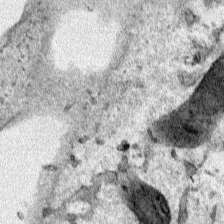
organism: Human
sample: Mitochondria in HCT116 cells